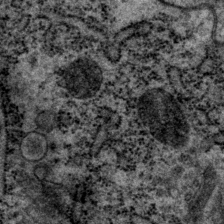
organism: P. pacificus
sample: Pharynx